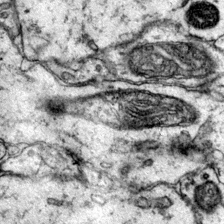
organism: Mouse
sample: Primary visual cortex